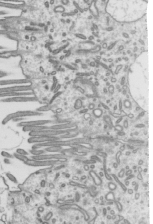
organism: Mouse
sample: Mouse epididymis efferent ductule cilia